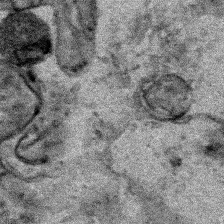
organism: Human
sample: Mitochondria in HCT116 cells